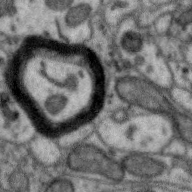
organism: Zebra finch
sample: Brain